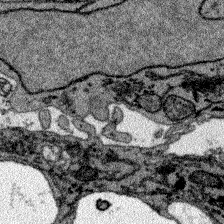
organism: Zebrafish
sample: Larval olfactory bulb